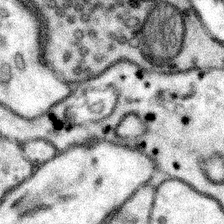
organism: Mouse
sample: Somatosensory cortex neuropil